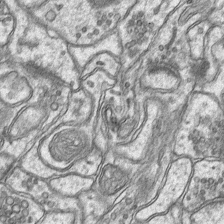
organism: Mouse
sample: CA1 Hippocampus